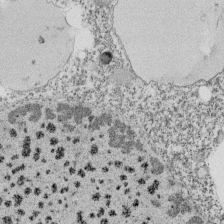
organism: Tetrahymena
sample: Cilia in tetrahymena